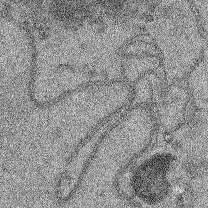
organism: Human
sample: HeLa cells